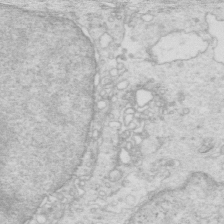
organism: Mouse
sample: Multiciliated cells